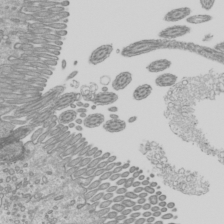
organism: Mouse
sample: Cilia; mouse epididymis